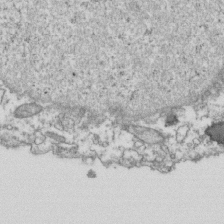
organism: Human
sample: Activated Jurkat CD4+ T cells